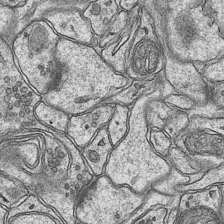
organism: Mouse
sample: CA1 Hippocampus